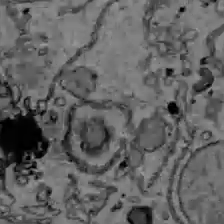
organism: C57BL Mouse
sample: Liver